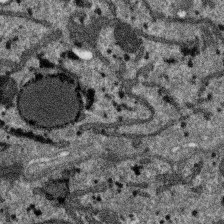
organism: Human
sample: Lung epithelial cells infected with SARS-CoV-2